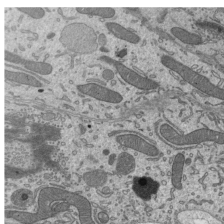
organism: Mouse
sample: Mouse epididymis efferent ductule cilia